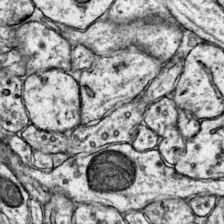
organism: Mouse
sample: Primary visual cortex